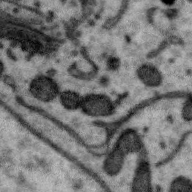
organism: Zebra finch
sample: Brain